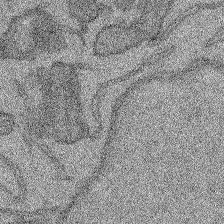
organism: Human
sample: HeLa cells